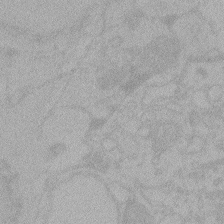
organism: Zebrafish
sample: Macrophage infected with Toxoplasma gondii